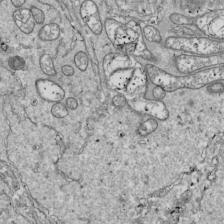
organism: Drosophila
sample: Cell division; meiosis; drosophila spermatocytes